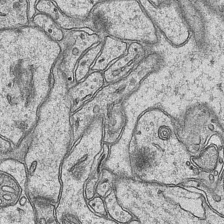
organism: Mouse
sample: CA1 Hippocampus